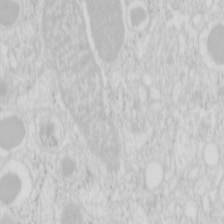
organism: Mouse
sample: Pancreas